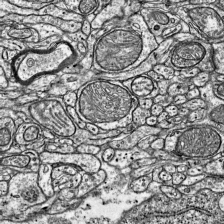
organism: Mouse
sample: Visual Cortex